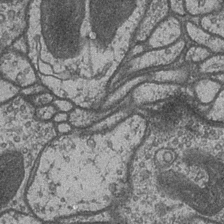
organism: Drosophila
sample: Optic medulla